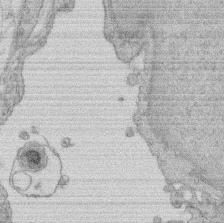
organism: Rat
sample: Salivary granule